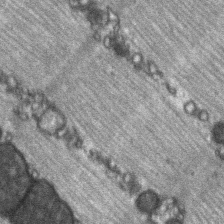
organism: C57BL Mouse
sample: Soleus